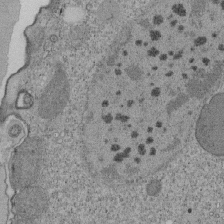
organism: Tetrahymena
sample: Cilia in tetrahymena